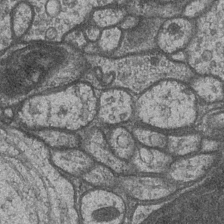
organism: Drosophila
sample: Optic medulla